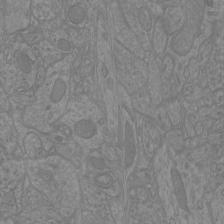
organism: Mouse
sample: Cortical neurons